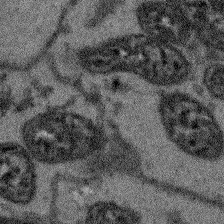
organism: Arabidopsis thaliana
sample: Root tip